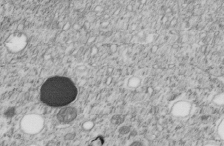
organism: C. elegans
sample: C. elegans embryo early stage